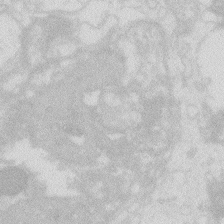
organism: Zebrafish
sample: Macrophage